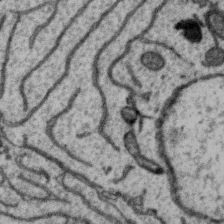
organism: Zebra finch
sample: Brain